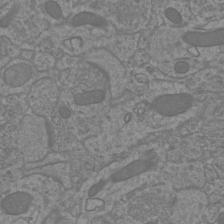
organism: Mouse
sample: Cortical neurons